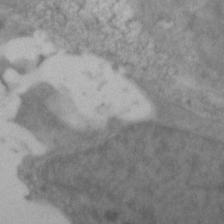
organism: Zebrafish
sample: Zebrafish embryo